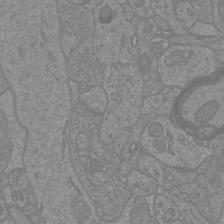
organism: Mouse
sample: Cortical neurons